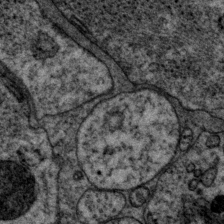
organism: P. pacificus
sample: Pharynx